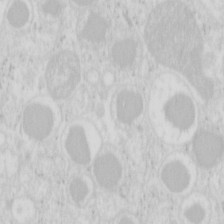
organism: Mouse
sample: Pancreas